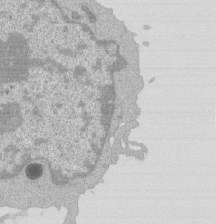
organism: Mouse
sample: Activated Pmel transgenic CD8+ T Cells